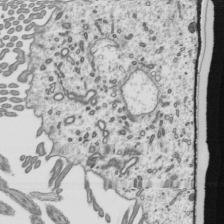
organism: Mouse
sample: Mouse epididymis efferent ductule cilia